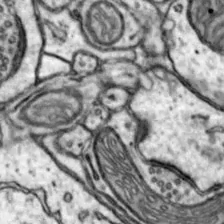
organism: Mouse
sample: Nucleus accumbens